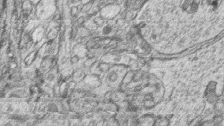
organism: Zebrafish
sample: synaptic ribbons in rod cells and cone cells